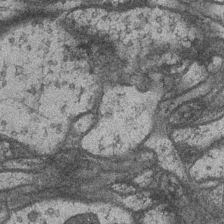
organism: Drosophila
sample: Optic medulla